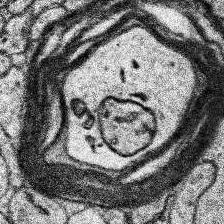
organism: Human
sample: Temporal Lobe